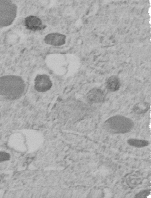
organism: C. elegans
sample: C. elegans embryo early stage